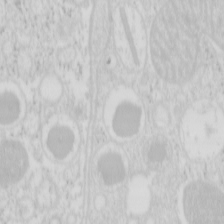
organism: Mouse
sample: Pancreas